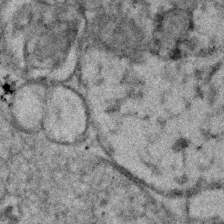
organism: Human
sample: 1205lu cells